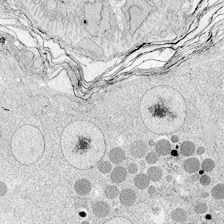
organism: Zebrafish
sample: Whole-Brain